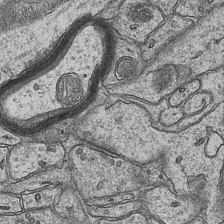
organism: Mouse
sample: CA1 Hippocampus